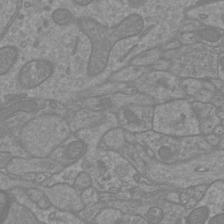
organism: Mouse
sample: Cortical neurons